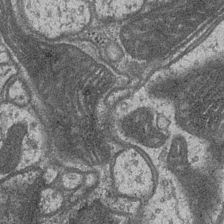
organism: Drosophila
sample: Optic medulla